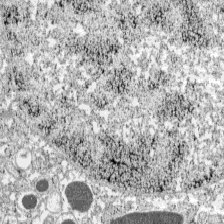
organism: C57BL Mouse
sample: Pancreatic islet